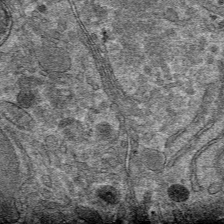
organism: Mouse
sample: Mouse hepatocytes